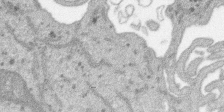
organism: Human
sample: Lung epithelial cells infected with SARS-CoV-2